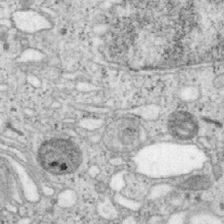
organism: Mouse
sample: OT-I killer T cells with ID8 ovarian cancer cells